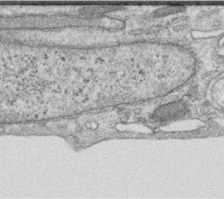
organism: Human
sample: Centriole in RPE cells